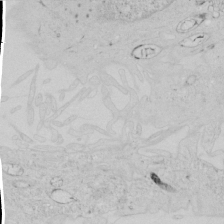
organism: Human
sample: Mitochondria in HCT116 cells